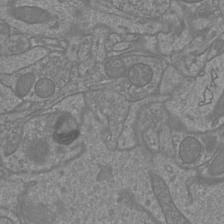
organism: Mouse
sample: Cortical neurons